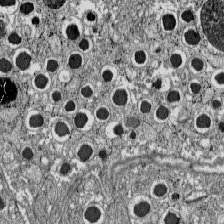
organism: C57BL Mouse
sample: Pancreatic islet